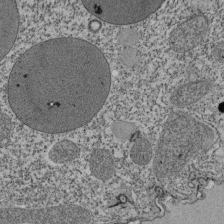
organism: Tetrahymena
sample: Cilia in tetrahymena